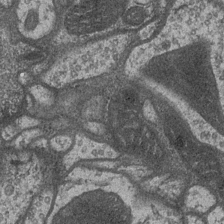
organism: Drosophila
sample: Optic medulla